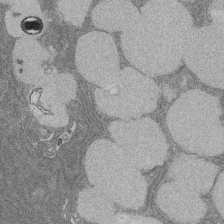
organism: Rat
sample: Salivary granule